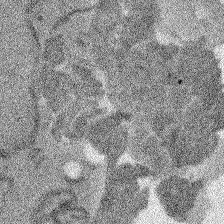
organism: Human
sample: HeLa cells